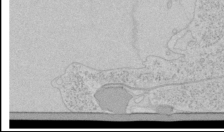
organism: Human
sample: Mitochondria in HCT116 cells